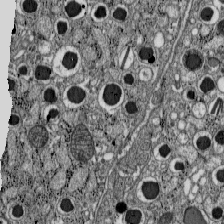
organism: C57BL Mouse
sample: Pancreatic islet